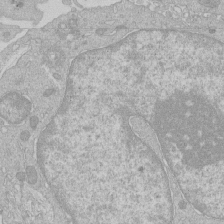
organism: Human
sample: Macrophage cells